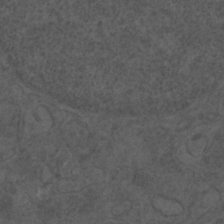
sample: Trachea